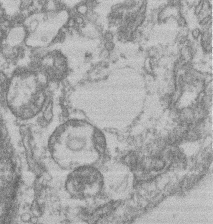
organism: Mouse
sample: T cell stromal cell synapse